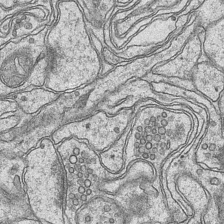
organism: Mouse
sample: CA1 Hippocampus